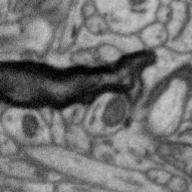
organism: Zebra finch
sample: Brain